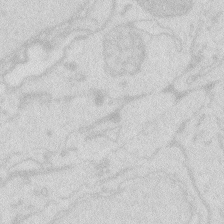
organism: Zebrafish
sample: Macrophage